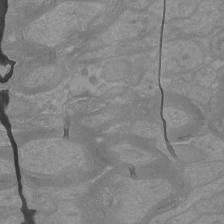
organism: Mouse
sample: Cortical neurons